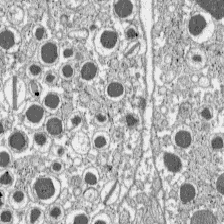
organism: C57BL Mouse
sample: Pancreatic islet